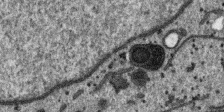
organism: Human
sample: Lung epithelial cells infected with SARS-CoV-2